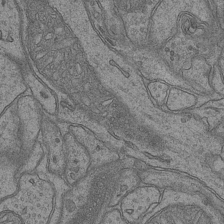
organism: Mouse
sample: CA1 Hippocampus